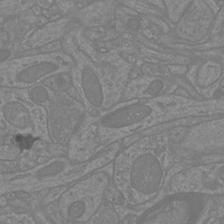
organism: Mouse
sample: Cortical neurons